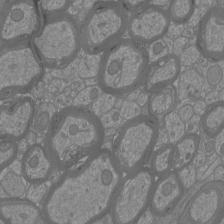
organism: Mouse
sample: Cortical neurons